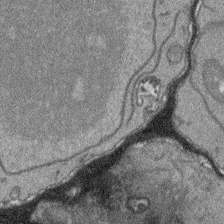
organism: Arabidopsis thaliana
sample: Root tip